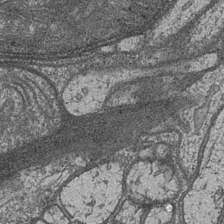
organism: Drosophila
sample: Optic medulla